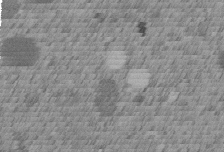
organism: C. elegans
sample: C. elegans embryo early stage